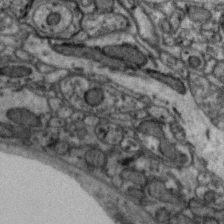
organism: Zebra finch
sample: Brain